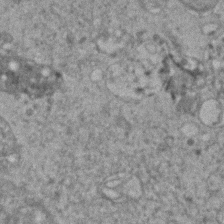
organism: Human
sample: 1205lu cells